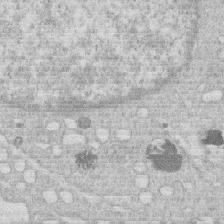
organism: Human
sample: Macrophage cells